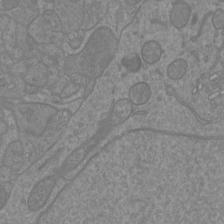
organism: Mouse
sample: Cortical neurons